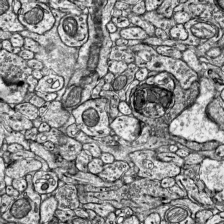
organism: Mouse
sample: Visual Cortex